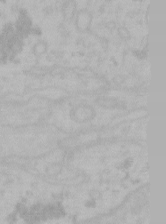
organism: Mouse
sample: Choroid plexus